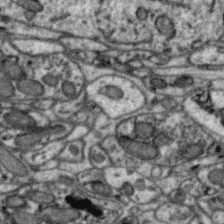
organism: Zebra finch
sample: Brain